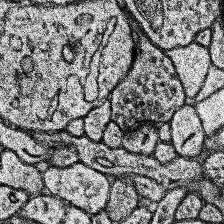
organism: Human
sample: Temporal Lobe